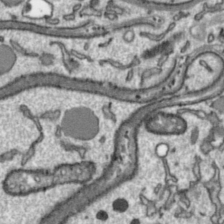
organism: Toxoplasma gondii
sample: Parasites in a vacuole inside a host cell